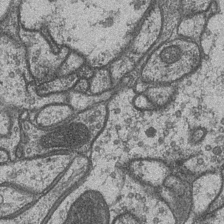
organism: Drosophila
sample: Optic medulla